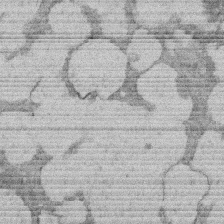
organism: Rat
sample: Salivary granule